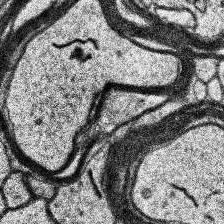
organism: Human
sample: Temporal Lobe